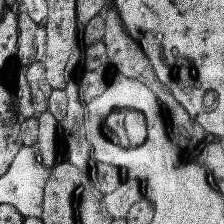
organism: Human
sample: Temporal Lobe